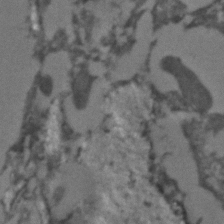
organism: C. elegans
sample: C. elegans embryo